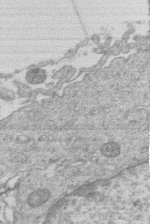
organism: Human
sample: Macrophage cells